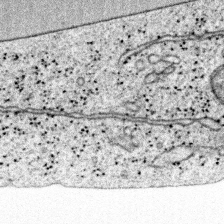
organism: Human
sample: HeLa cells